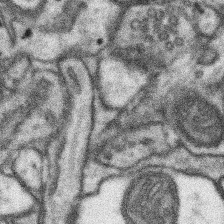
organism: Mouse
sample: Somatosensory cortex neuropil